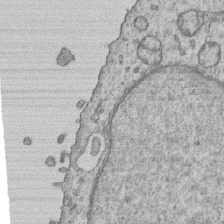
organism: Human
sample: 1205lu cells